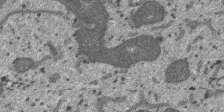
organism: Human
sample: Lung epithelial cells infected with SARS-CoV-2